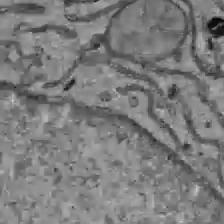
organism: C57BL Mouse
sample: Liver